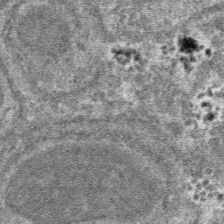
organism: Mouse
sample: Mouse hepatocytes